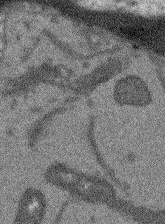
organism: Arabidopsis thaliana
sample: Root tip